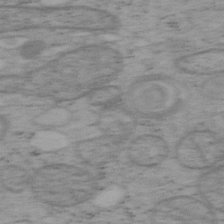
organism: Mouse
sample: OT-I killer T cells with ID8 ovarian cancer cells